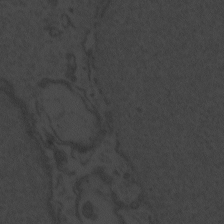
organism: Zebrafish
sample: Macrophage infected with Toxoplasma gondii